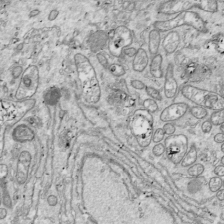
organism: Drosophila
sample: Cell division; meiosis; drosophila spermatocytes